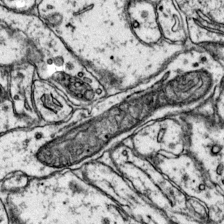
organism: Mouse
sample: Primary visual cortex